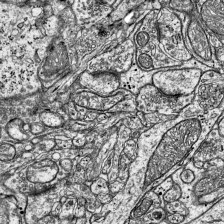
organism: Mouse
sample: Visual Cortex